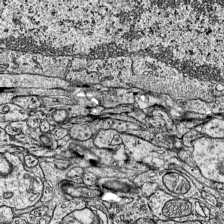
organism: Mouse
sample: Visual Cortex